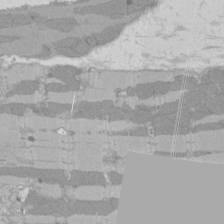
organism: Rat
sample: Left ventricle